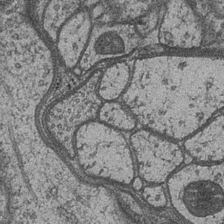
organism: Drosophila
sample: Optic medulla